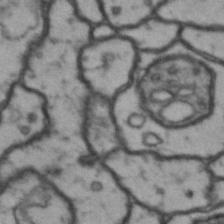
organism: Drosophila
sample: Brain